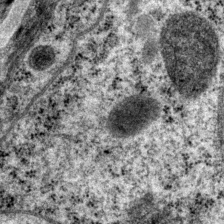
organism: P. pacificus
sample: Pharynx